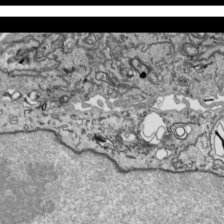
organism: Human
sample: Mitochondria in HCT116 cells